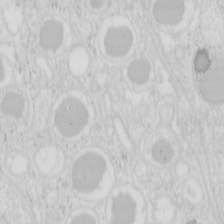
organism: Mouse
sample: Pancreas